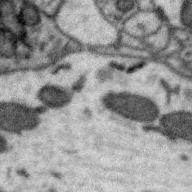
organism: Zebra finch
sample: Brain